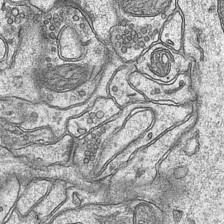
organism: Mouse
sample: CA1 Hippocampus